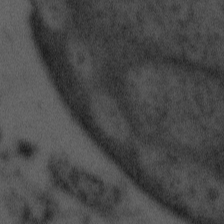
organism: Tuwongella immobilis